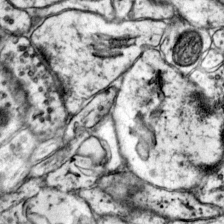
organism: Mouse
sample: Primary visual cortex